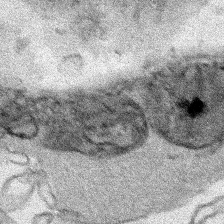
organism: Human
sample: Mitochondria in HCT116 cells